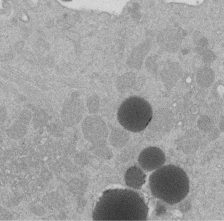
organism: Mouse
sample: Dividing mouse embryo 1 cell stage